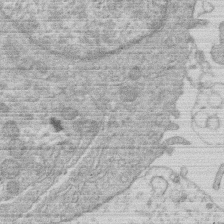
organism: Human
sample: Macrophage cells